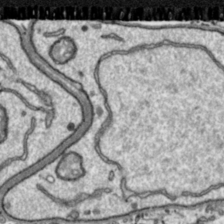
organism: Toxoplasma gondii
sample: Parasites in a vacuole inside a host cell